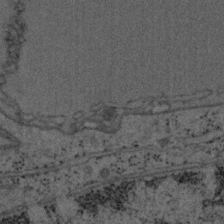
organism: Human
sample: HeLa cells